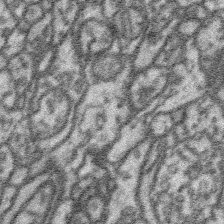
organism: Platynereis dumerilii